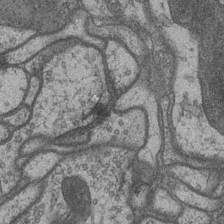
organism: Drosophila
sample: Optic medulla